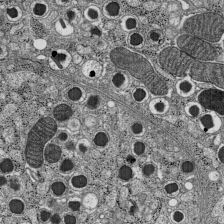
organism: C57BL Mouse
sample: Pancreatic islet